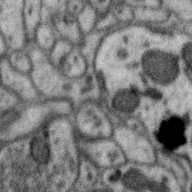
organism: Zebra finch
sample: Brain